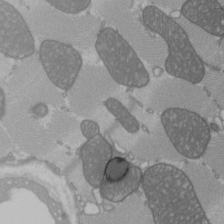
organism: C57BL Mouse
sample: Heart